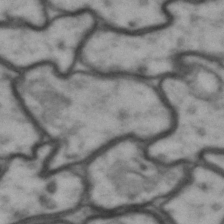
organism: Drosophila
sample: Brain